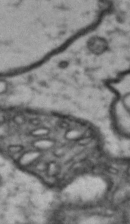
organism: Drosophila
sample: Brain